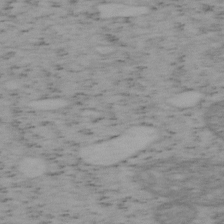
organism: Mouse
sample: OT-I killer T cells with ID8 ovarian cancer cells